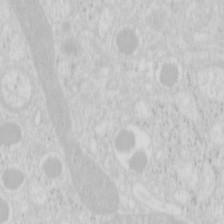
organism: Mouse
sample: Pancreas